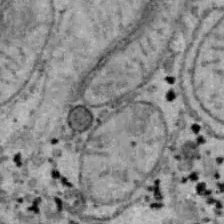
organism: Mouse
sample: Liver from an obese (ob/ob) mouse